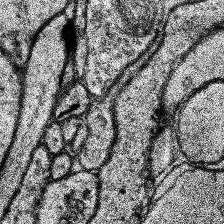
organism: Human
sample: Temporal Lobe